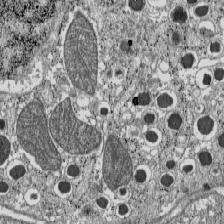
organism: C57BL Mouse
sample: Pancreatic islet